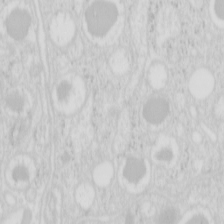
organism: Mouse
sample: Pancreas